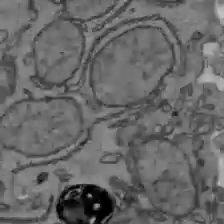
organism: C57BL Mouse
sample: Liver